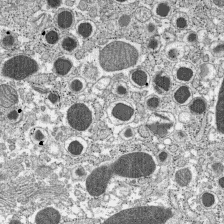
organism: C57BL Mouse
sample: Pancreatic islet